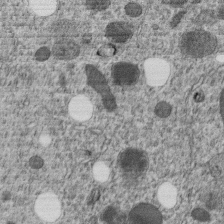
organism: C. elegans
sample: C. elegans embryo early stage